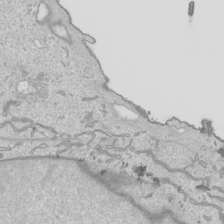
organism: Human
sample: Mitochondria in HCT116 cells